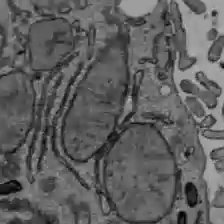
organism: C57BL Mouse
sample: Liver